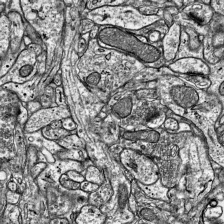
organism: Mouse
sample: Visual Cortex